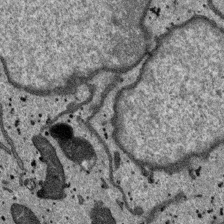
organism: Human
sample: Lung epithelial cells, uninfected (mock) control